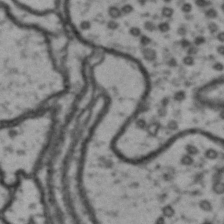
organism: Drosophila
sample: Brain